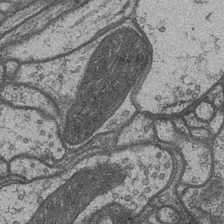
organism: Drosophila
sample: Optic medulla